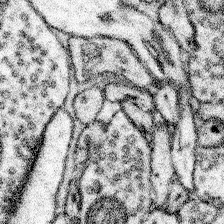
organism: Mouse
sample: Somatosensory cortex neuropil